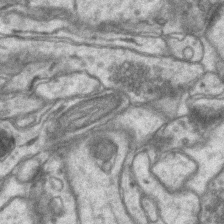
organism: Mouse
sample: CA1 Hippocampus